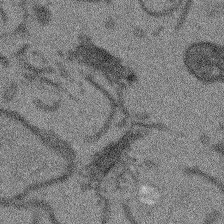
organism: Arabidopsis thaliana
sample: Root tip